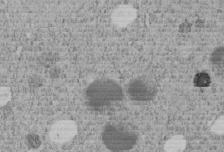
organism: C. elegans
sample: C. elegans embryo early stage